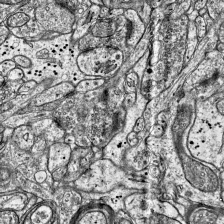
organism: Mouse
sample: Visual Cortex